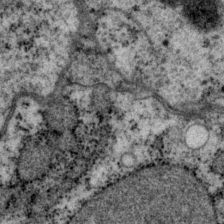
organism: P. pacificus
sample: Pharynx